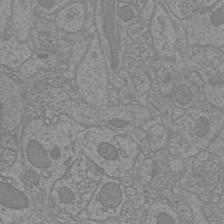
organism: Mouse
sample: Cortical neurons